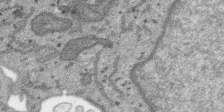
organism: Human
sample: Lung epithelial cells infected with SARS-CoV-2